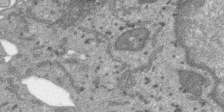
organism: Human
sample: Lung epithelial cells infected with SARS-CoV-2